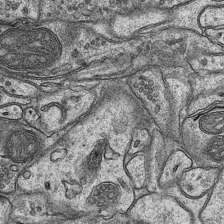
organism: Mouse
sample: CA1 Hippocampus